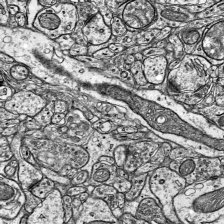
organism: Mouse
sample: Visual Cortex